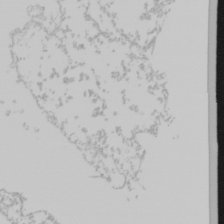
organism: Mouse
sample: Cancer cell death in ED-1 cells